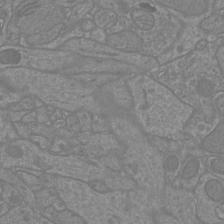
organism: Mouse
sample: Cortical neurons